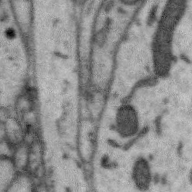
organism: Zebra finch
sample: Brain